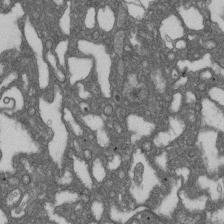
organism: Drosophila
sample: Nephrocyte